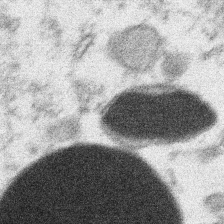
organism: Xenopus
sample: Cilia; centrioles in frog embryo cells